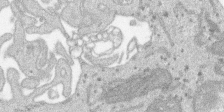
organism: Human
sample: Lung epithelial cells infected with SARS-CoV-2